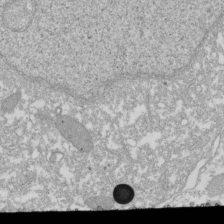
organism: Xenopus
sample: Cilia; centrioles in frog embryo cells